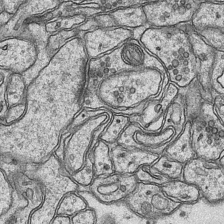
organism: Mouse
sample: CA1 Hippocampus